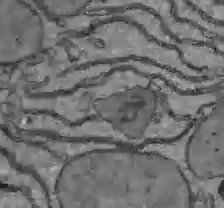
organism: C57BL Mouse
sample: Liver